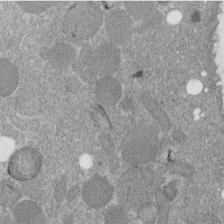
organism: C. elegans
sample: C. elegans embryo early stage